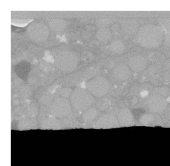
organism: C. elegans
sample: C. elegans oocyte; sperm cells